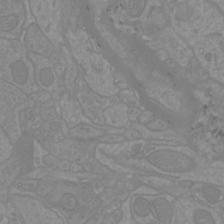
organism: Mouse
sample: Cortical neurons